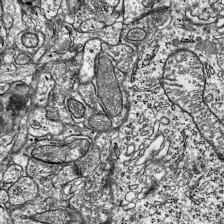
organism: Mouse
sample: Visual Cortex